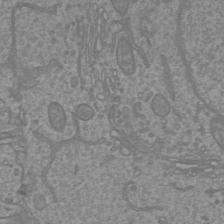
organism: Mouse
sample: Cortical neurons